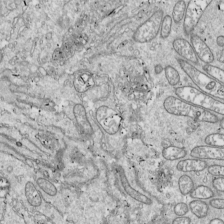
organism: Drosophila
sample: Cell division; meiosis; drosophila spermatocytes